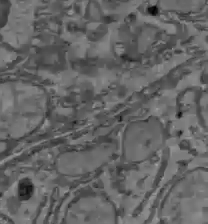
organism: C57BL Mouse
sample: Liver